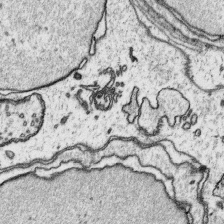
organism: Platynereis dumerilii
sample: Parapodia